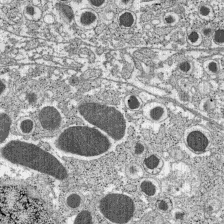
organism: C57BL Mouse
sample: Pancreatic islet